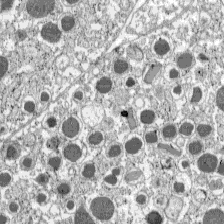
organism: C57BL Mouse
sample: Pancreatic islet